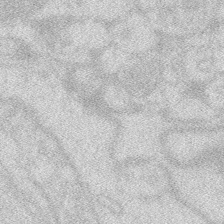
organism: Zebrafish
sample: Macrophage